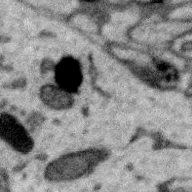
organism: Zebra finch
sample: Brain